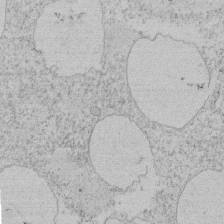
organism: Tetrahymena